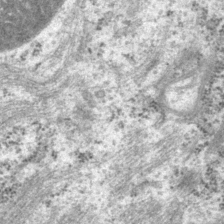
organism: P. pacificus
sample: Pharynx